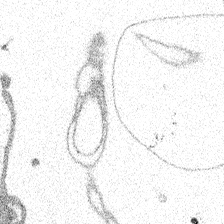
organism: Spongilla lacustris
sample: Multiple